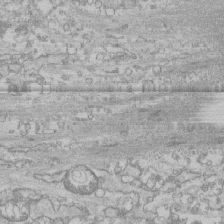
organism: Human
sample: CRL-1474